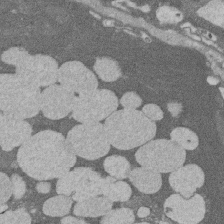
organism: Rat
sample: Salivary granule